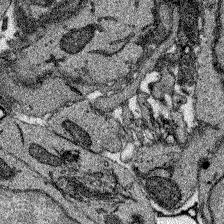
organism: Zebrafish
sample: Larval olfactory bulb